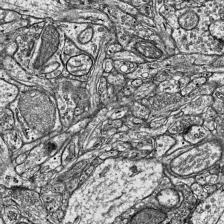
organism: Mouse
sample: Visual Cortex